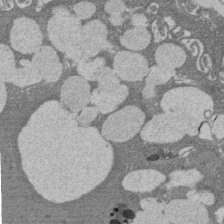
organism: Rat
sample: Salivary granule